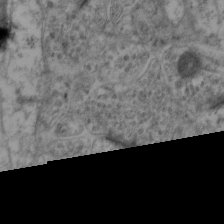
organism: Mouse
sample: Neocortex